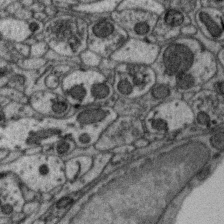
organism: Zebra finch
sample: Brain